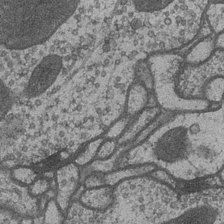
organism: Drosophila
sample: Optic medulla